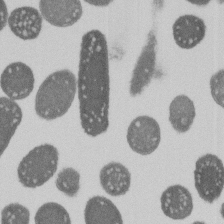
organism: E. coli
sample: Bacterial nucleoid